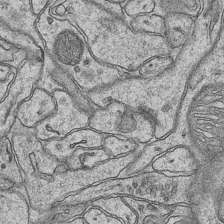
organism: Mouse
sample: CA1 Hippocampus